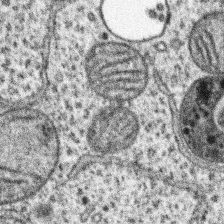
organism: Human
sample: HeLa cells